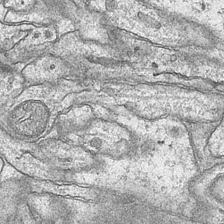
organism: Mouse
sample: CA1 Hippocampus